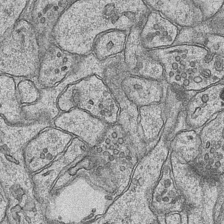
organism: Mouse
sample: CA1 Hippocampus